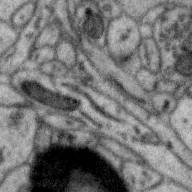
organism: Zebra finch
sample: Brain